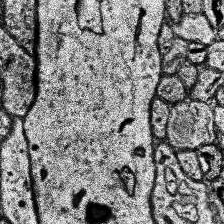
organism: Human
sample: Temporal Lobe